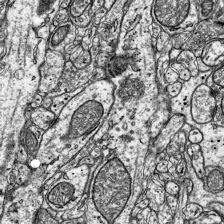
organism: Mouse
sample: Visual Cortex